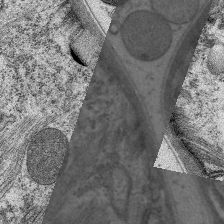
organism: C. elegans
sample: Pharynx